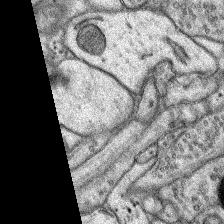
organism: Rat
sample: Hippocampus